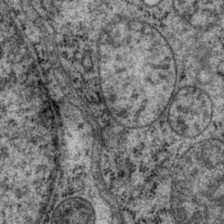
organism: P. pacificus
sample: Pharynx